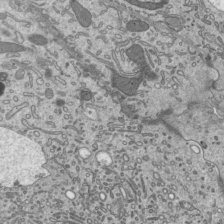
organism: Mouse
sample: Mouse epididymis efferent ductule cilia